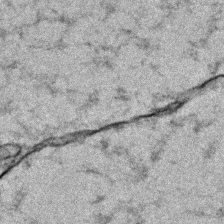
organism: Zebrafish